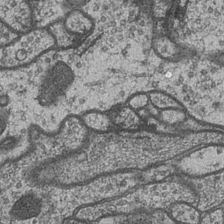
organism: Drosophila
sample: Optic medulla